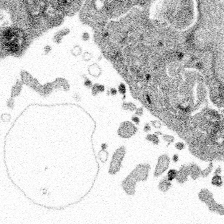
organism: Spongilla lacustris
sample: Multiple